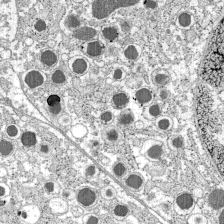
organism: C57BL Mouse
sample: Pancreatic islet